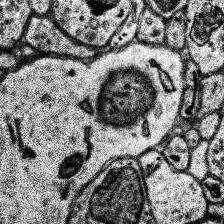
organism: Human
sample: Temporal Lobe